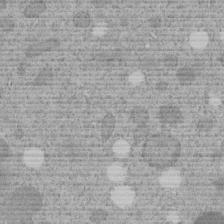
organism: C. elegans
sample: C. elegans embryo early stage